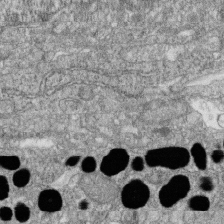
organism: Zebrafish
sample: Cilia; retinal pigment epithelium